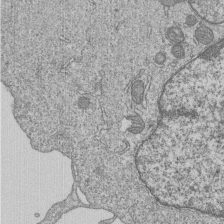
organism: Human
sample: MDA-MB-231 cells